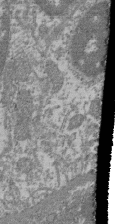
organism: Mouse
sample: Glomerulus